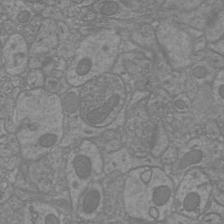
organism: Mouse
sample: Cortical neurons